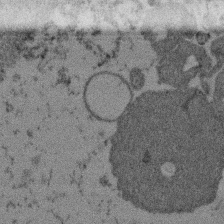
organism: Mouse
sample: Dividing mouse embryo 1 cell stage